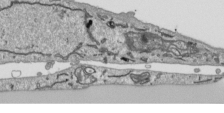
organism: Human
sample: Mitochondria in HCT116 cells